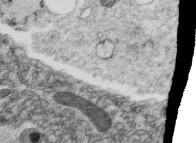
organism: C. elegans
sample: C. elegans oocyte; sperm cells